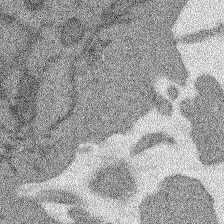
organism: Human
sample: HeLa cells